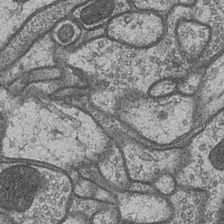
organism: Drosophila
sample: Optic medulla